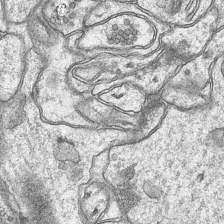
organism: Mouse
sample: CA1 Hippocampus